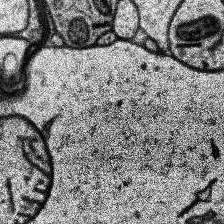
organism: Human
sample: Temporal Lobe